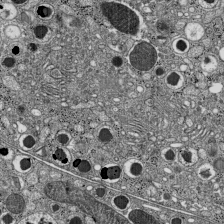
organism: C57BL Mouse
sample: Pancreatic islet